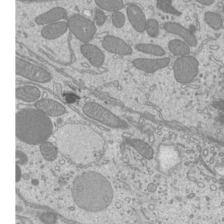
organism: Mouse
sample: Cilia; mouse epididymis